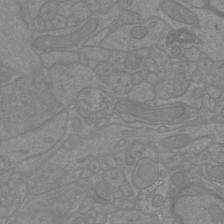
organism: Mouse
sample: Cortical neurons